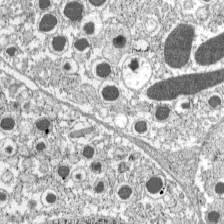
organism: C57BL Mouse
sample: Pancreatic islet